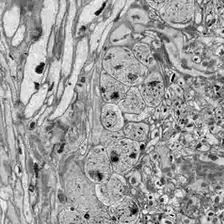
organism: Drosophila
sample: Optic lobe